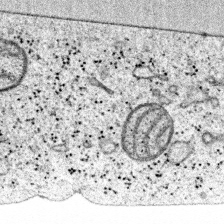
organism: Human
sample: HeLa cells